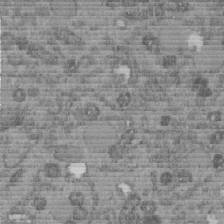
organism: C. elegans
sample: C. elegans embryo early stage